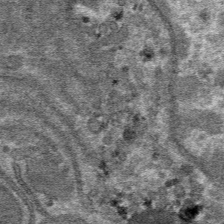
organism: Mouse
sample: Mouse hepatocytes